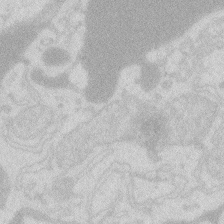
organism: Zebrafish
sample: Macrophage